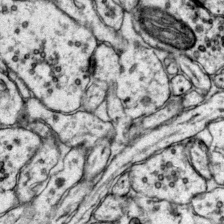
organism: Mouse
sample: Primary visual cortex